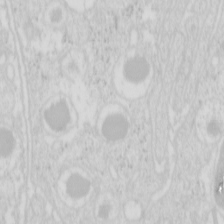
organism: Mouse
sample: Pancreas